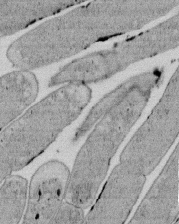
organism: E. coli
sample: Bacterial nucleoid